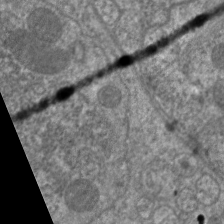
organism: C. elegans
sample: Pharynx